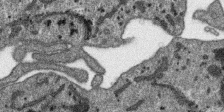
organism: Human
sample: Lung epithelial cells infected with SARS-CoV-2